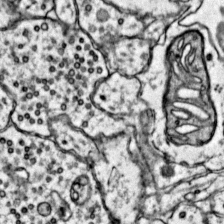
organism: Mouse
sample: Primary visual cortex